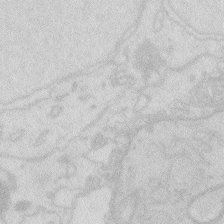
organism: Zebrafish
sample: Macrophage